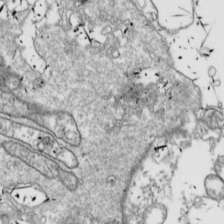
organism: Drosophila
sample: Cell division; meiosis; drosophila spermatocytes